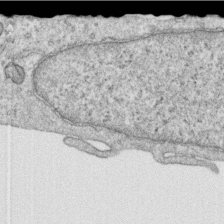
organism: Human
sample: Centriole in RPE cells